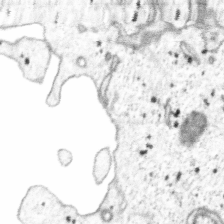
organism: Human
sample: HeLa cells